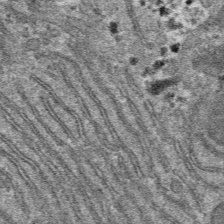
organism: Mouse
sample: Mouse hepatocytes